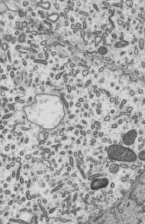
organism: Mouse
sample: Mouse epididymis efferent ductule cilia